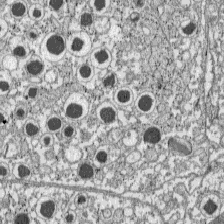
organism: C57BL Mouse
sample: Pancreatic islet